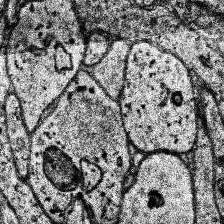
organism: Human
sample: Temporal Lobe